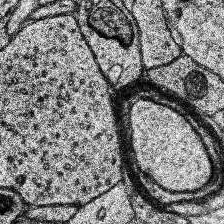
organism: Human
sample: Temporal Lobe